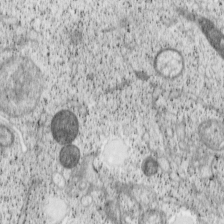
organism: African green monkey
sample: COS-7 cells